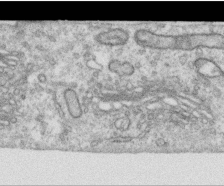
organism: Human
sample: Centriole in RPE cells